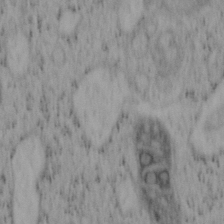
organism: Mouse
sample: OT-I killer T cells with ID8 ovarian cancer cells